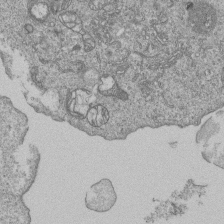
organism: Human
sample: MDA-MB-231 cells